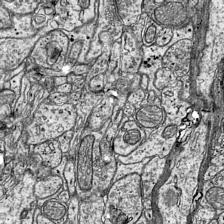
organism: Mouse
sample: Visual Cortex